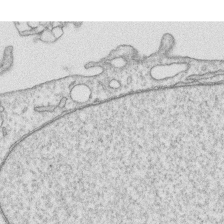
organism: Human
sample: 1205lu cells